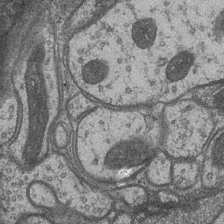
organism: Drosophila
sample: Optic medulla